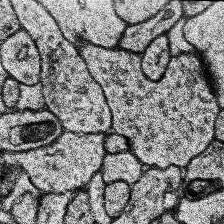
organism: Human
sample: Temporal Lobe